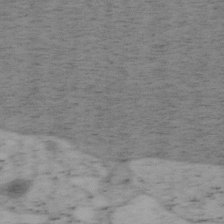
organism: Mouse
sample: OT-I killer T cells with ID8 ovarian cancer cells